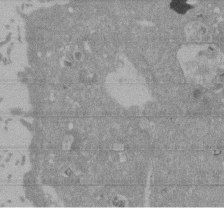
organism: Mouse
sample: ED-1 cell nuclei; centrioles